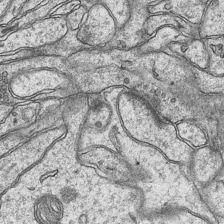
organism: Mouse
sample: CA1 Hippocampus